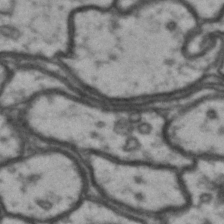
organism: Drosophila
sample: Brain